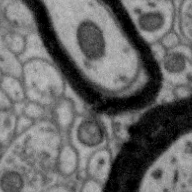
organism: Zebra finch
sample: Brain